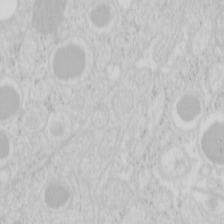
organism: Mouse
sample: Pancreas